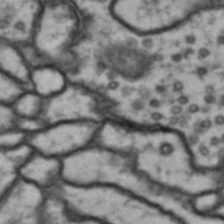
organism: Drosophila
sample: Brain